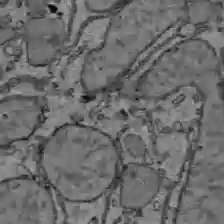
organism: C57BL Mouse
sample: Liver